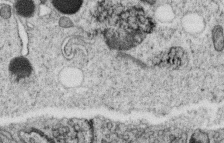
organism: C. elegans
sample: C. elegans oocyte; sperm cells